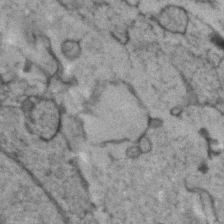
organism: Human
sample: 1205lu cells